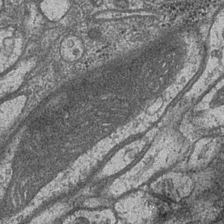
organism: Drosophila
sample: Optic medulla